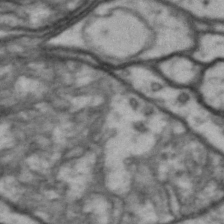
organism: Drosophila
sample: Brain